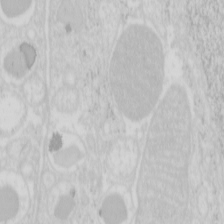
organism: Mouse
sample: Pancreas